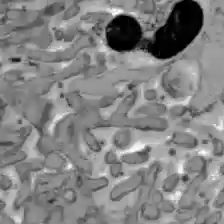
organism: C57BL Mouse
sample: Liver